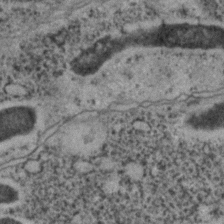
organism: C. elegans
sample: C. elegans embryo